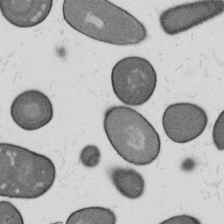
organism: B. subtilis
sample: Bacterial spore